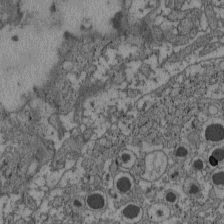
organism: C57BL Mouse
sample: Pancreatic islet